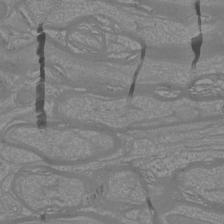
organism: Mouse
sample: Cortical neurons